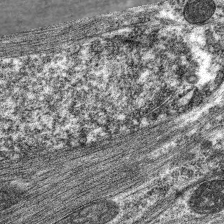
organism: C. elegans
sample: Pharynx